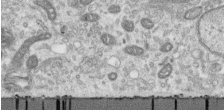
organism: Human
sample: Centriole in RPE cells